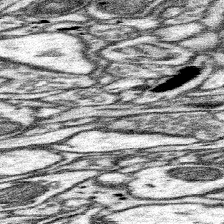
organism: Mouse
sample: Somatosensory cortex neuropil